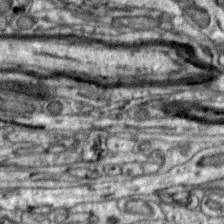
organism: Zebra finch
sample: Brain